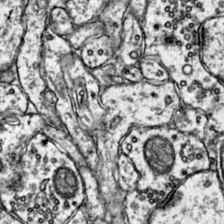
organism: Mouse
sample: Primary visual cortex